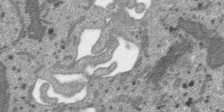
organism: Human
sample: Lung epithelial cells infected with SARS-CoV-2